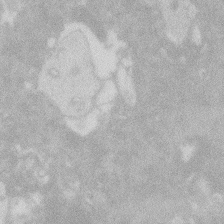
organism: Zebrafish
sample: Macrophage